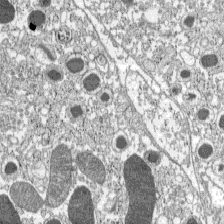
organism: C57BL Mouse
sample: Pancreatic islet